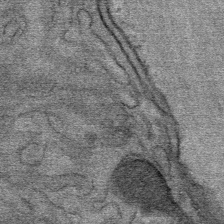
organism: Mouse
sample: Mouse Salivary gland